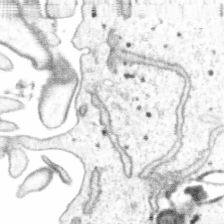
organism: Human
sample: HeLa cells